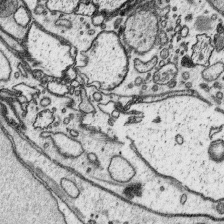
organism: Platynereis dumerilii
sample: Parapodia